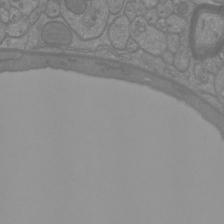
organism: Mouse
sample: Cortical neurons